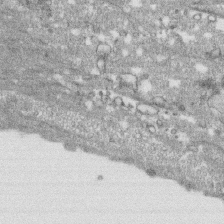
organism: Human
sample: CRL-1474